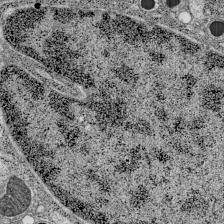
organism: C57BL Mouse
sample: Pancreatic islet